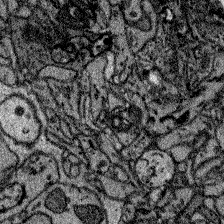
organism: Zebrafish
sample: Larval olfactory bulb